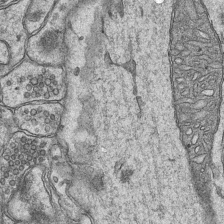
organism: Mouse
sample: CA1 Hippocampus